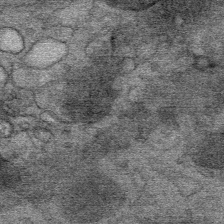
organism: Mouse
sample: Mouse Salivary gland